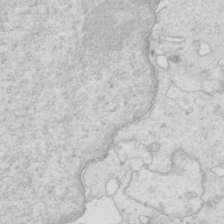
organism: Mouse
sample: Multiciliated cells